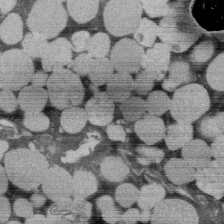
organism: Rat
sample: Salivary granule